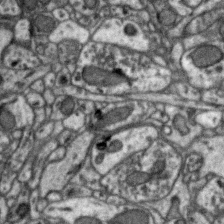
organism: Zebra finch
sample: Brain